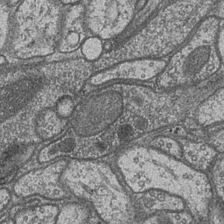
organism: Drosophila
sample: Optic medulla